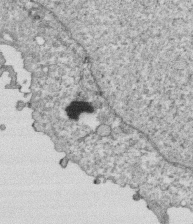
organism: Human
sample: HeLa cell HIV synapse